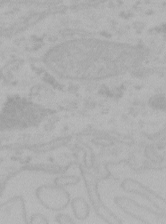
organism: Mouse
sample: Choroid plexus